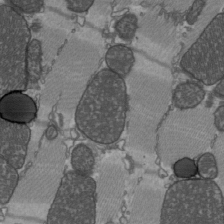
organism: C57BL Mouse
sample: Heart